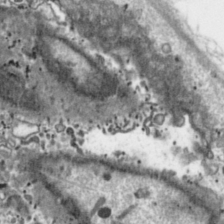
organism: Toxoplasma gondii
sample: Parasites in a vacuole inside a host cell